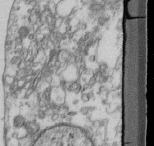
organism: Mouse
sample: Cilia; retinal pigment epithelium